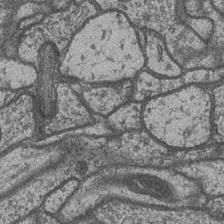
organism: Drosophila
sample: Optic medulla